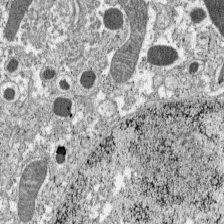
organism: C57BL Mouse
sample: Pancreatic islet